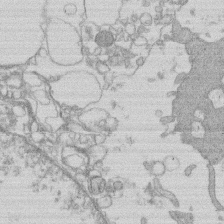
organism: Human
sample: Macrophage cells